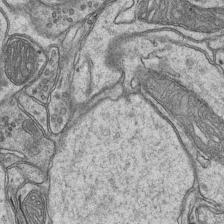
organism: Mouse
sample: CA1 Hippocampus